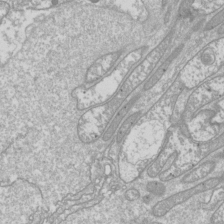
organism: Drosophila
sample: Cell division; meiosis; drosophila spermatocytes